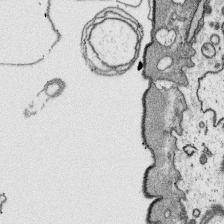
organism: Platynereis dumerilii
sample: Parapodia